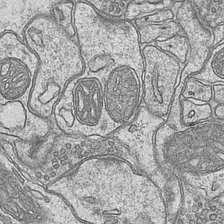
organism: Mouse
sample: CA1 Hippocampus